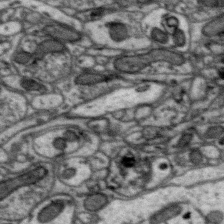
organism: Zebra finch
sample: Brain